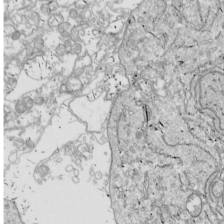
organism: Drosophila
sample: Cell division; meiosis; drosophila spermatocytes